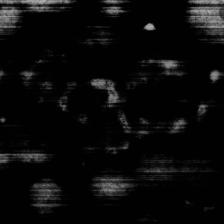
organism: C. elegans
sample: C. elegans embryo early stage